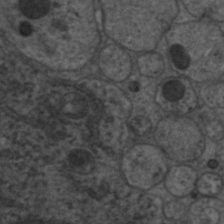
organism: C. elegans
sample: Pharynx